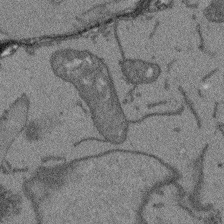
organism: Arabidopsis thaliana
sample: Root tip